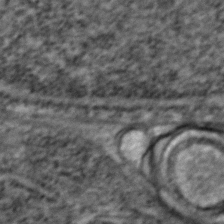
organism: Zebrafish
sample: Zebrafish embryo